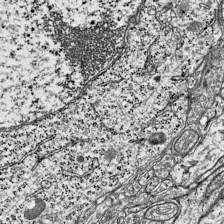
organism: Mouse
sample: Visual Cortex